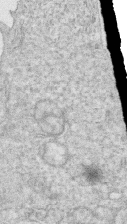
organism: Human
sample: HeLa cell HIV synapse